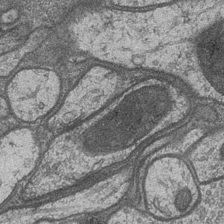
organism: Drosophila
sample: Optic medulla